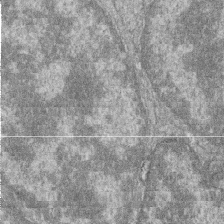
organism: Zebrafish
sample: Cilia; retinal pigment epithelium